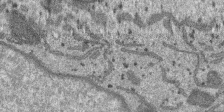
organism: Human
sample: Lung epithelial cells infected with SARS-CoV-2